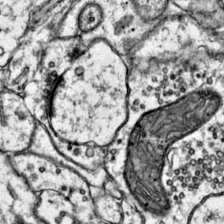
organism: Mouse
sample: Primary visual cortex